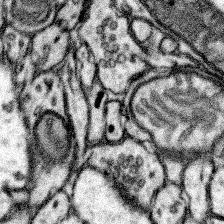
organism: Mouse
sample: Somatosensory cortex neuropil